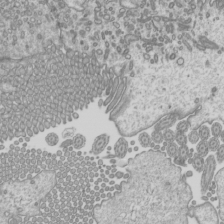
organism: Mouse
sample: Cilia; mouse epididymis